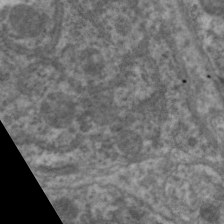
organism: C. elegans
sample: Pharynx